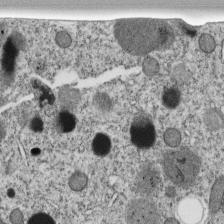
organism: C. elegans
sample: C. elegans embryo early stage